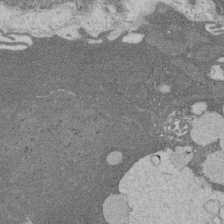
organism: Rat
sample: Salivary granule